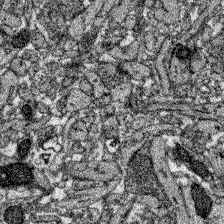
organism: Zebrafish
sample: Larval olfactory bulb